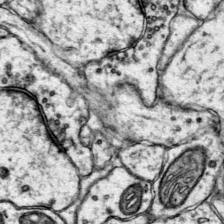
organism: Mouse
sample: Primary visual cortex